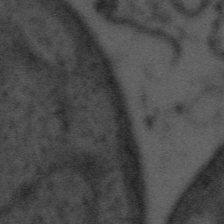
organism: Tuwongella immobilis